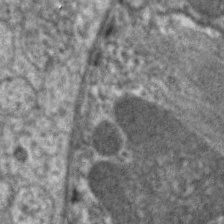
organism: C. elegans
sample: Pharynx